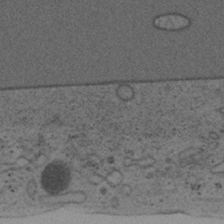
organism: Human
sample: HeLa cells